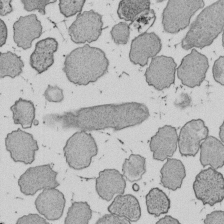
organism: E. coli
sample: Bacterial nucleoid